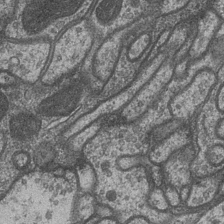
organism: Drosophila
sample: Optic medulla